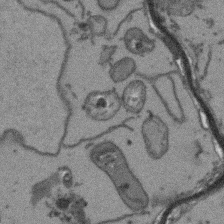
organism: Arabidopsis thaliana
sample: Root tip